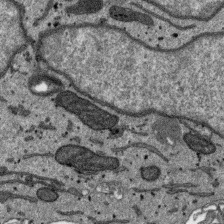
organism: Human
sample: Lung epithelial cells, uninfected (mock) control